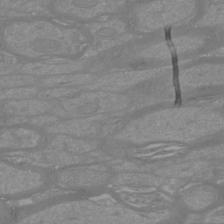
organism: Mouse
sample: Cortical neurons